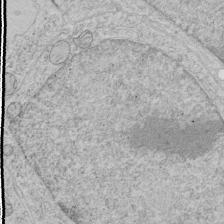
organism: Human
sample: Mitochondria in HCT116 cells